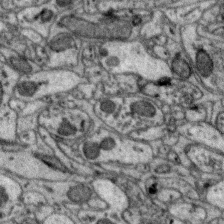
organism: Zebra finch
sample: Brain